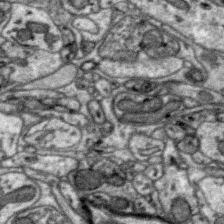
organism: Zebra finch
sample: Brain